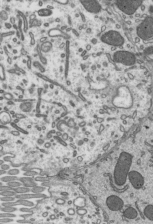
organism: Mouse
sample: Mouse epididymis efferent ductule cilia